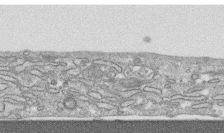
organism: Human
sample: CRL-1474